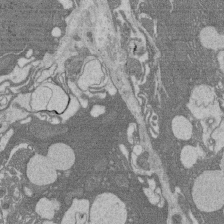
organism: Rat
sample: Salivary granule